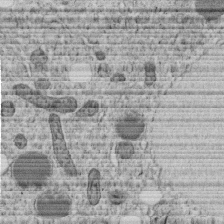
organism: C. elegans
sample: C. elegans embryo early stage